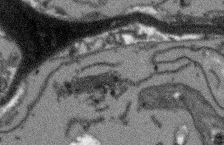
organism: Arabidopsis thaliana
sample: Root tip